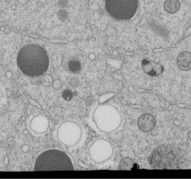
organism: C. elegans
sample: C. elegans embryo early stage